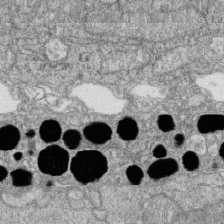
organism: Zebrafish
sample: Cilia; retinal pigment epithelium